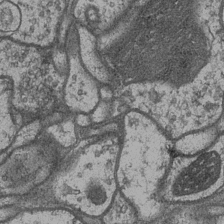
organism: Drosophila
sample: Optic medulla